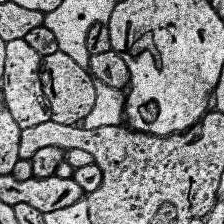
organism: Human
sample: Temporal Lobe